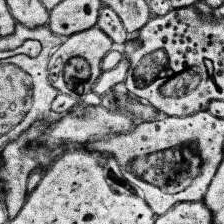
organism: Human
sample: Temporal Lobe